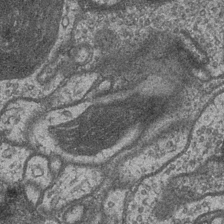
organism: Drosophila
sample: Optic medulla